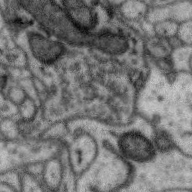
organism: Zebra finch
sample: Brain